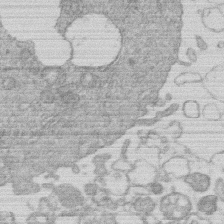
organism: Human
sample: Macrophage cells